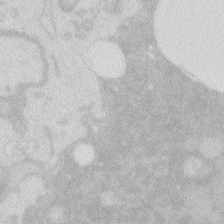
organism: Zebrafish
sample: Macrophage